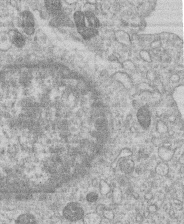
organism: Human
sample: Macrophage cells